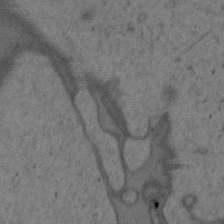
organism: Human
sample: HeLa cells